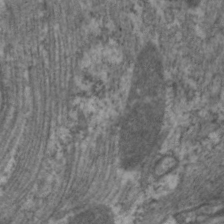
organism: C. elegans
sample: Pharynx